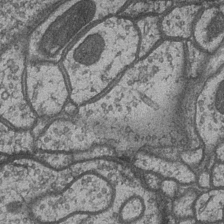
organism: Drosophila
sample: Optic medulla